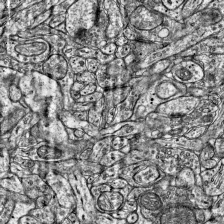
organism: Mouse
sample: Visual Cortex